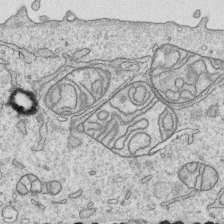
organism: Human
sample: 1205lu cells